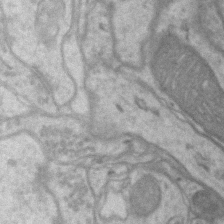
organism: Mouse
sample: CA1 Hippocampus